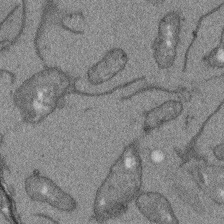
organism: Arabidopsis thaliana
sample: Root tip